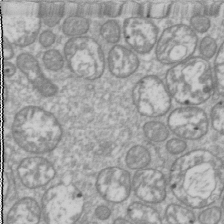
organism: Drosophila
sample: Cell division; meiosis; drosophila spermatocytes